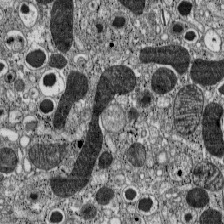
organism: C57BL Mouse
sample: Pancreatic islet